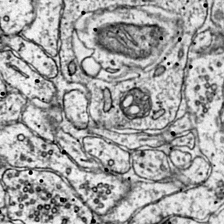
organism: Mouse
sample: Primary visual cortex